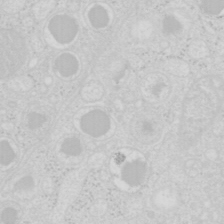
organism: Mouse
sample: Pancreas